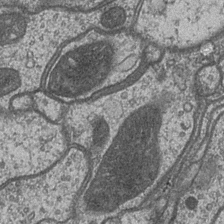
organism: Drosophila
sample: Optic medulla